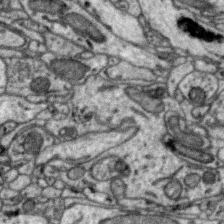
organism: Zebra finch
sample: Brain